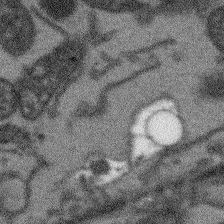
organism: Arabidopsis thaliana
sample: Root tip